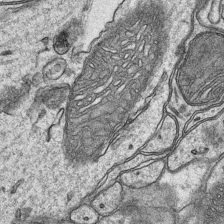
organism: Mouse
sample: CA1 Hippocampus